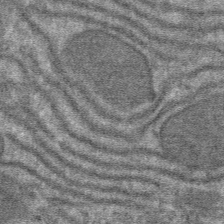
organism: Mouse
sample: Mouse hepatocytes